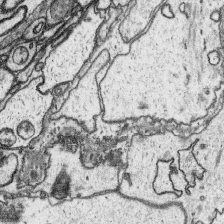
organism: Platynereis dumerilii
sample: Parapodia